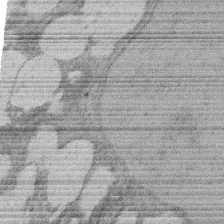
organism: Rat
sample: Salivary granule